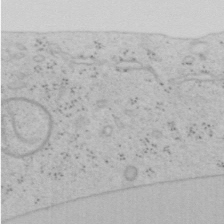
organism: Human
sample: HeLa cells